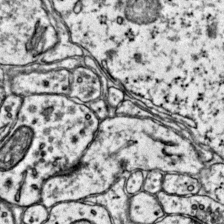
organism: Mouse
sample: Primary visual cortex